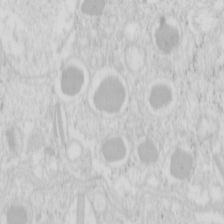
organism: Mouse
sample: Pancreas